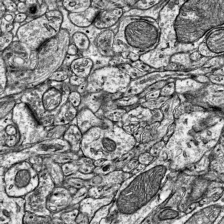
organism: Mouse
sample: Visual Cortex